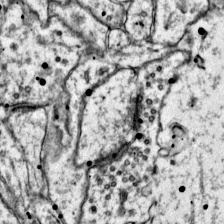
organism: Mouse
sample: Primary visual cortex